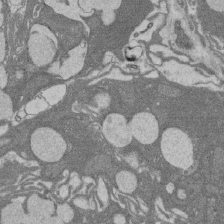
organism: Rat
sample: Salivary granule